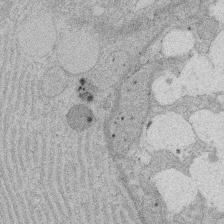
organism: Rat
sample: Salivary granule